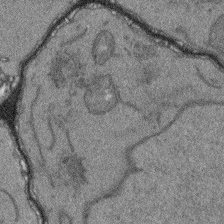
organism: Arabidopsis thaliana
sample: Root tip